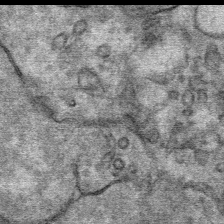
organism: Mouse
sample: Mouse Salivary gland